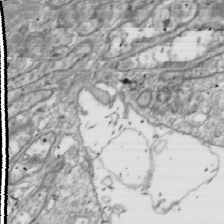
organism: Drosophila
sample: Cell division; meiosis; drosophila spermatocytes